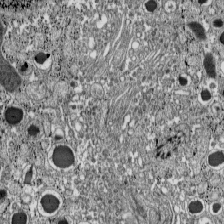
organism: C57BL Mouse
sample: Pancreatic islet